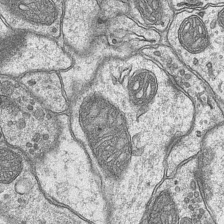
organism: Mouse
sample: CA1 Hippocampus